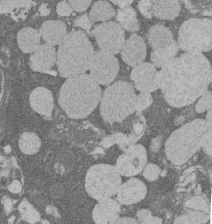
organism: Rat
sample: Salivary granule